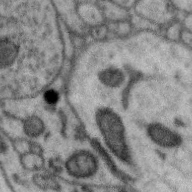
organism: Zebra finch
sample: Brain